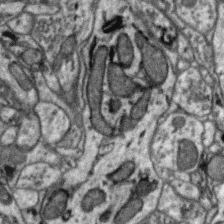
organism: Zebra finch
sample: Brain